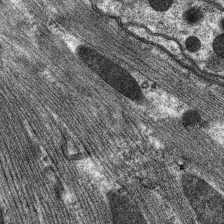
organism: C. elegans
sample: Pharynx